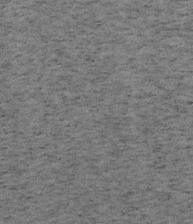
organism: Mouse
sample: OT-I killer T cells with ID8 ovarian cancer cells